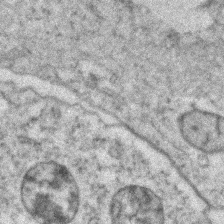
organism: Zebrafish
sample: Zebrafish embryo